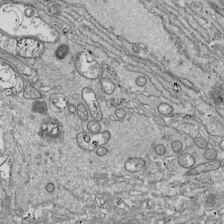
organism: Drosophila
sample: Cell division; meiosis; drosophila spermatocytes